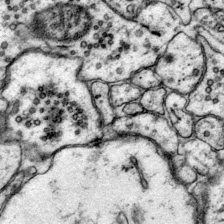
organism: Mouse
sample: Primary visual cortex